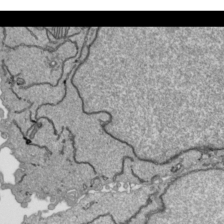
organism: Human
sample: Mitochondria in HCT116 cells